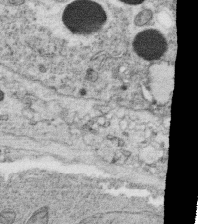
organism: C. elegans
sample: C. elegans oocyte; sperm cells